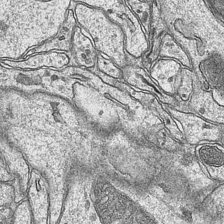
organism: Mouse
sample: CA1 Hippocampus